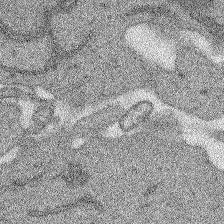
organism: Human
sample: HeLa cells